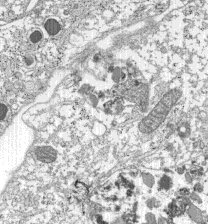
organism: C57BL Mouse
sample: Pancreatic islet